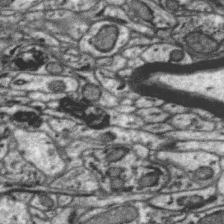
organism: Zebra finch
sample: Brain